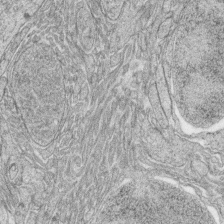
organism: Zebrafish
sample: synaptic ribbons in rod cells and cone cells